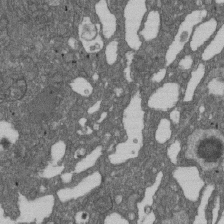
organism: Drosophila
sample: Nephrocyte